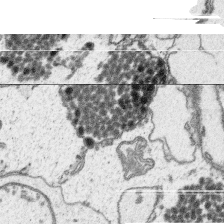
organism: Platynereis dumerilii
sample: Parapodia